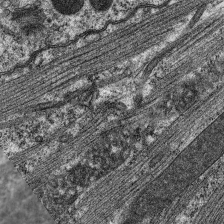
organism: C. elegans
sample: Pharynx